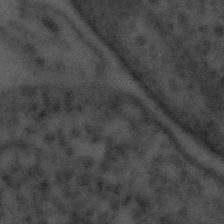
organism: Tuwongella immobilis